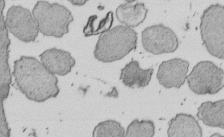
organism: E. coli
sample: Bacterial nucleoid